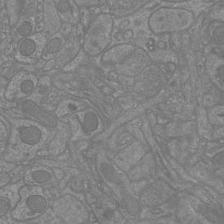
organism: Mouse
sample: Cortical neurons